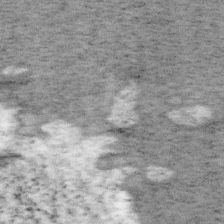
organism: Mouse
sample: OT-I killer T cells with ID8 ovarian cancer cells